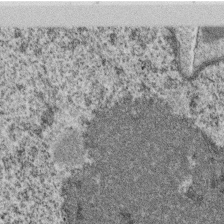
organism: African green monkey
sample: Vero E6 cells infected with SARS-CoV-2